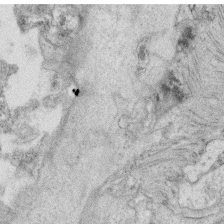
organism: C. elegans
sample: C. elegans oocyte; sperm cells